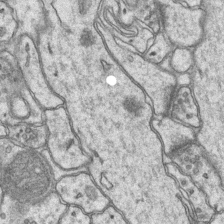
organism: Mouse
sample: CA1 Hippocampus